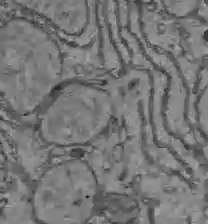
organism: C57BL Mouse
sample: Liver